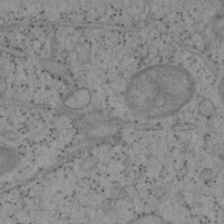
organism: Human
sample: HeLa cells